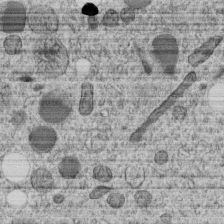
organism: C. elegans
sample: C. elegans embryo early stage